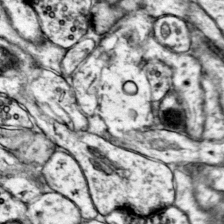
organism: Mouse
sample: Primary visual cortex